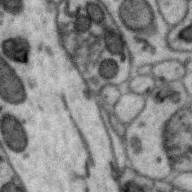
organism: Zebra finch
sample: Brain